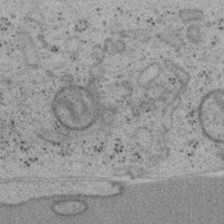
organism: Human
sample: HeLa cells